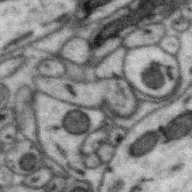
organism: Zebra finch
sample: Brain